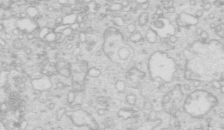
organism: Mouse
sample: Multiciliated cells